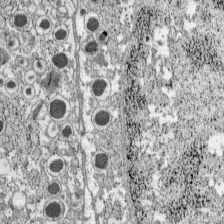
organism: C57BL Mouse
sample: Pancreatic islet